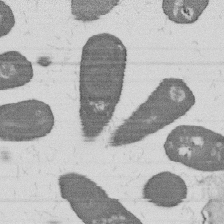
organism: B. subtilis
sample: Bacterial spore